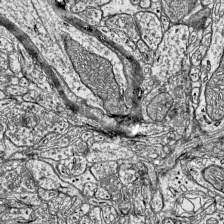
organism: Mouse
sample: Visual Cortex